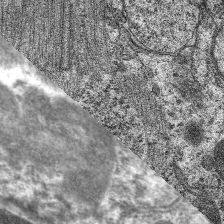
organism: C. elegans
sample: Pharynx